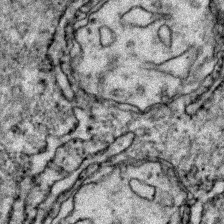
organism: Zebrafish